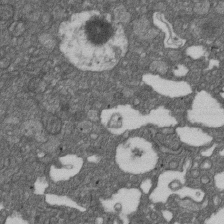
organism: Drosophila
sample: Nephrocyte